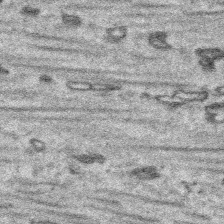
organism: Platynereis dumerilii